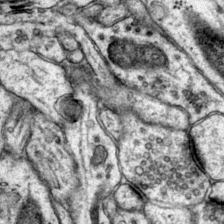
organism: Mouse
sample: Primary visual cortex